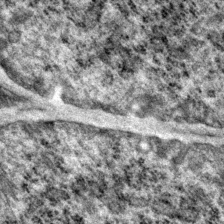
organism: P. pacificus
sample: Pharynx